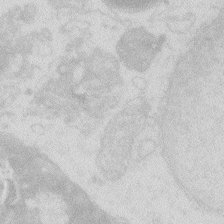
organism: Zebrafish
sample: Macrophage